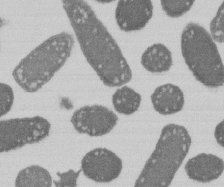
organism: E. coli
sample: Bacterial nucleoid